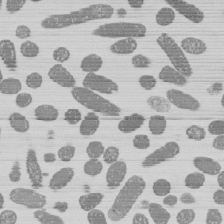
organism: E. coli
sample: Bacterial nucleoid